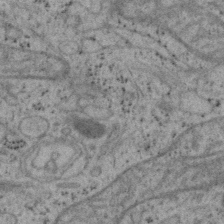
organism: Human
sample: HeLa cells